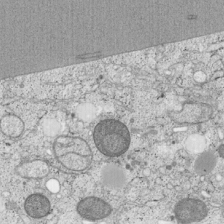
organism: African green monkey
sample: COS-7 cells